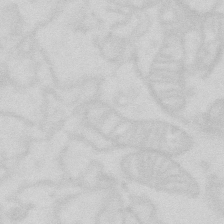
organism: Human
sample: HeLa cells